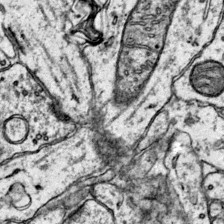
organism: Mouse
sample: Primary visual cortex